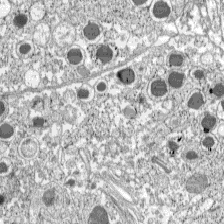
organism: C57BL Mouse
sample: Pancreatic islet